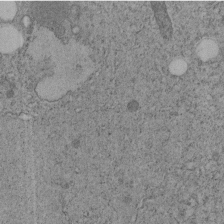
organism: C. elegans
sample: C. elegans embryo early stage